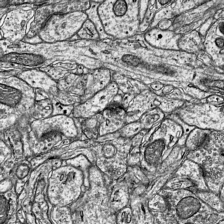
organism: Mouse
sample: Visual Cortex